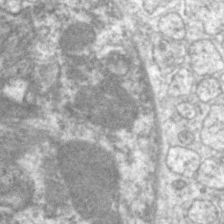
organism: C. elegans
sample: Pharynx